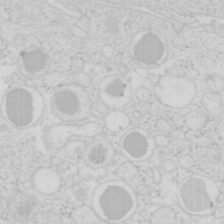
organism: Mouse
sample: Pancreas